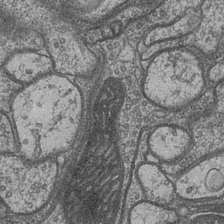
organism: Drosophila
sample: Optic medulla